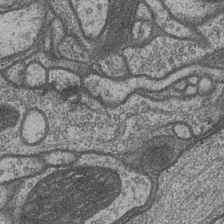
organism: Drosophila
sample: Optic medulla